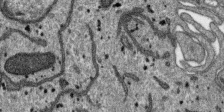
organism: Human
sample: Lung epithelial cells, uninfected (mock) control